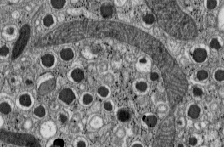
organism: C57BL Mouse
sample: Pancreatic islet